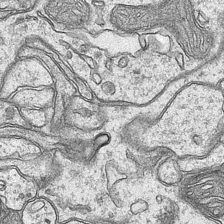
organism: Mouse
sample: CA1 Hippocampus